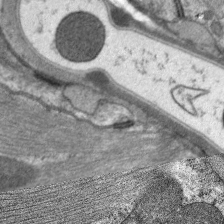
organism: C. elegans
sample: Pharynx